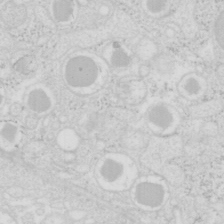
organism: Mouse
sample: Pancreas